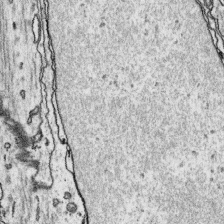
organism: Platynereis dumerilii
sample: Parapodia